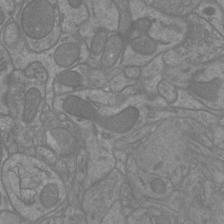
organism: Mouse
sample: Cortical neurons